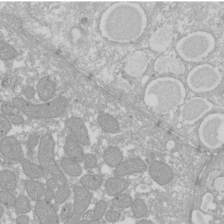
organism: Xenopus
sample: Cilia; centrioles in frog embryo cells